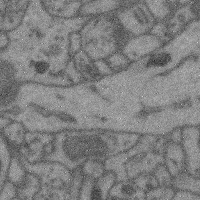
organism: Mouse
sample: Cerebral cortex